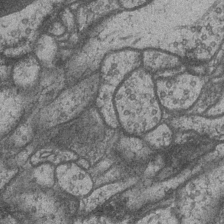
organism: Drosophila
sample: Optic medulla